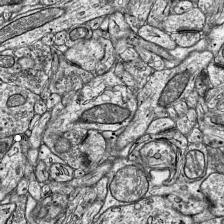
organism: Mouse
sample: Visual Cortex